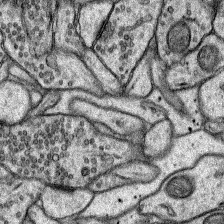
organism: Rat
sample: Hippocampus